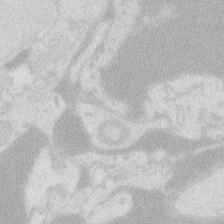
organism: Zebrafish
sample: Macrophage